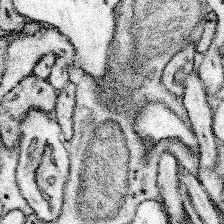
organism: Mouse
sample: Somatosensory cortex neuropil